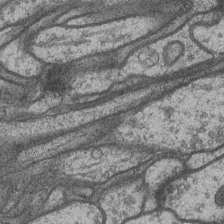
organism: Drosophila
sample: Optic medulla